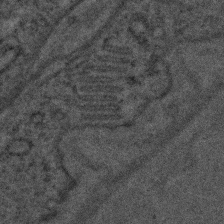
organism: C. elegans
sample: C. elegans embryo